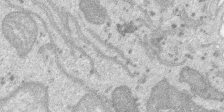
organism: Human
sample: Lung epithelial cells infected with SARS-CoV-2